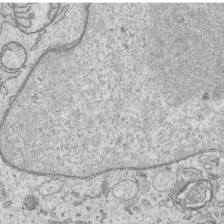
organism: Human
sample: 1205lu cells